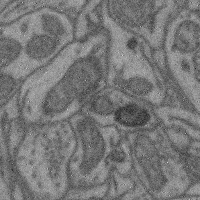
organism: Mouse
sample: Cerebral cortex